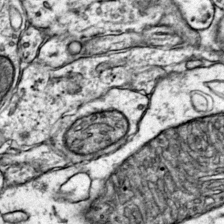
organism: Mouse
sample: Primary visual cortex